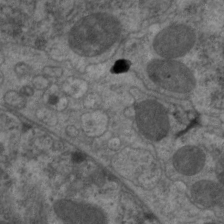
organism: C. elegans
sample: Pharynx